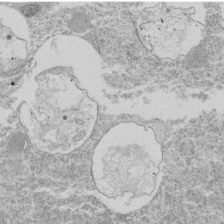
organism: Tetrahymena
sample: Cilia in tetrahymena